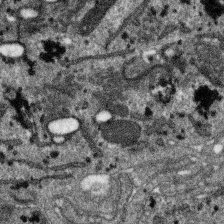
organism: Human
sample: Lung epithelial cells infected with SARS-CoV-2